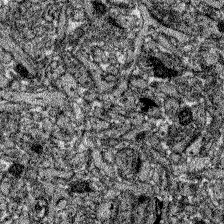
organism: Zebrafish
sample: Larval olfactory bulb